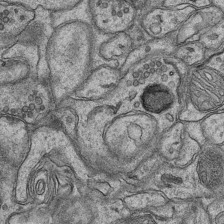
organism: Mouse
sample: CA1 Hippocampus